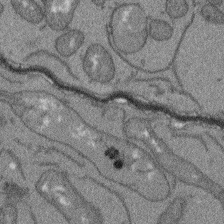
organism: Arabidopsis thaliana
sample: Root tip